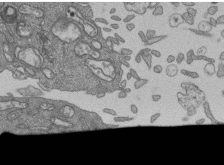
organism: Human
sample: Retinal organoid Rod and Cone cells